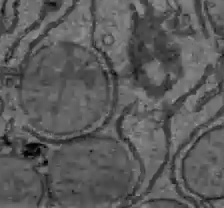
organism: C57BL Mouse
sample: Liver